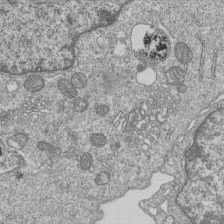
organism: Human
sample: MDA-MB-231 cells